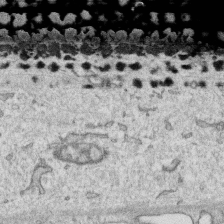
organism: Human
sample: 1205lu cells